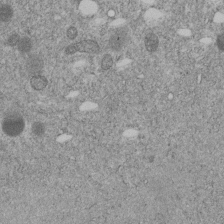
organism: C. elegans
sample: C. elegans embryo early stage